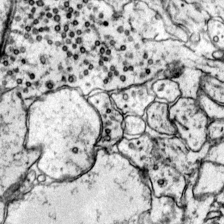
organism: Mouse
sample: Primary visual cortex